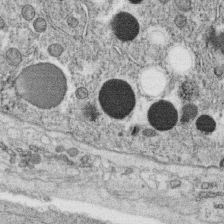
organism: C. elegans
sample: C. elegans oocyte; sperm cells